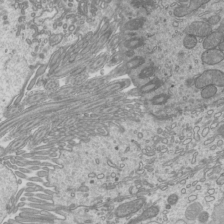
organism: Mouse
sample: Cilia; mouse epididymis